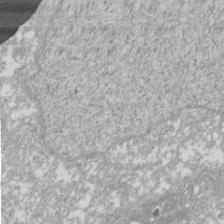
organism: Xenopus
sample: Cilia; centrioles in frog embryo cells